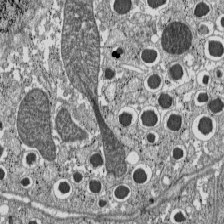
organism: C57BL Mouse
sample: Pancreatic islet